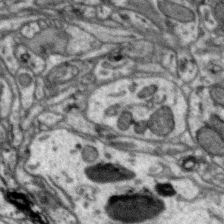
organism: Zebra finch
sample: Brain